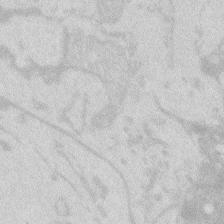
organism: Zebrafish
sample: Macrophage